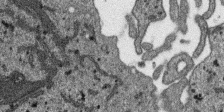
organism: Human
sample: Lung epithelial cells infected with SARS-CoV-2